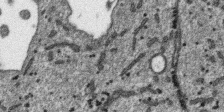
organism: Human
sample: Lung epithelial cells infected with SARS-CoV-2